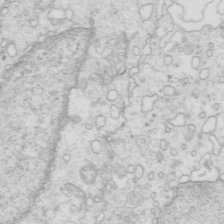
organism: Mouse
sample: Multiciliated cells